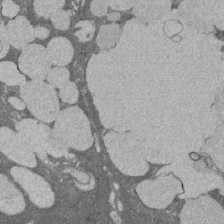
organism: Rat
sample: Salivary granule